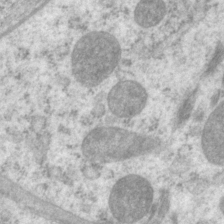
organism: P. pacificus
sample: Pharynx